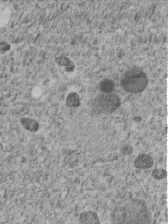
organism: C. elegans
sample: C. elegans embryo early stage